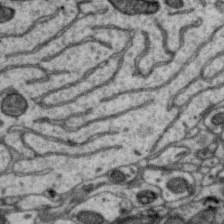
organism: Zebra finch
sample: Brain